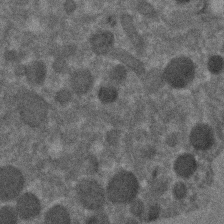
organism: C. elegans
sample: C. elegans embryo